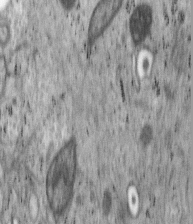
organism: Human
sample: HeLa cells